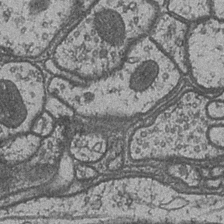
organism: Drosophila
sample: Optic medulla